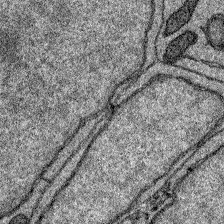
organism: Zebrafish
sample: Larval olfactory bulb